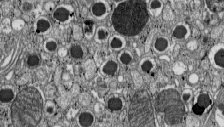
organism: C57BL Mouse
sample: Pancreatic islet